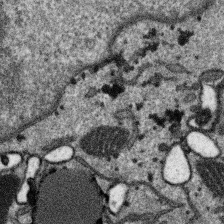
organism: Human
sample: Lung epithelial cells infected with SARS-CoV-2